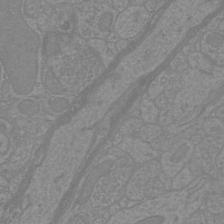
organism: Mouse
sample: Cortical neurons